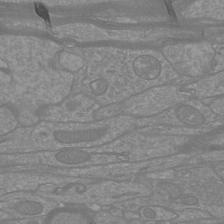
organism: Mouse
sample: Cortical neurons